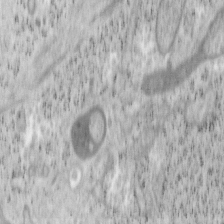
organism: Human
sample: HeLa cells